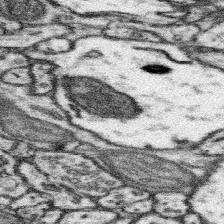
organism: Mouse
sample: Somatosensory cortex neuropil